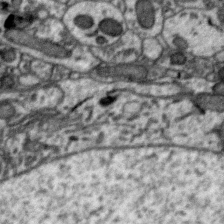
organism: Zebra finch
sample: Brain